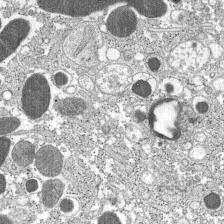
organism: C57BL Mouse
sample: Pancreatic islet